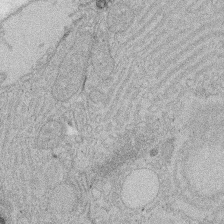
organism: Rat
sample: Salivary granule